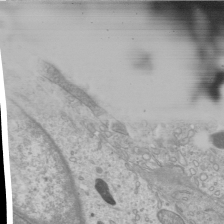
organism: Mouse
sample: Cilia; mouse epididymis